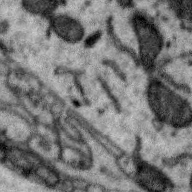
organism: Zebra finch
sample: Brain